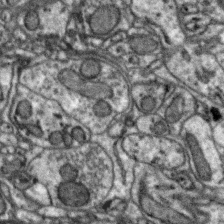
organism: Zebra finch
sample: Brain